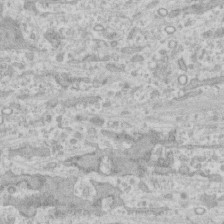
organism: Human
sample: CRL-1474